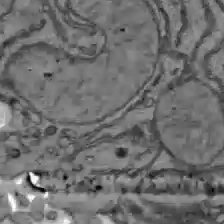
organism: C57BL Mouse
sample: Liver